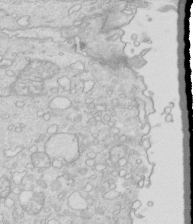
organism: Mouse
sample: Multiciliated cells